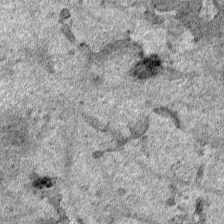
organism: Human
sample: Mitochondria in HCT116 cells